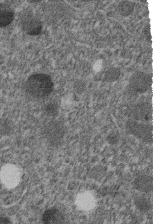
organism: C. elegans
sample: C. elegans embryo early stage